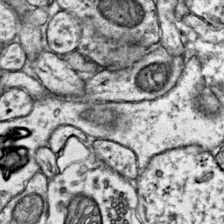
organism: Mouse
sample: Primary visual cortex